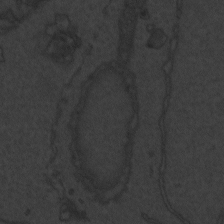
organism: Zebrafish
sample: Macrophage infected with Toxoplasma gondii